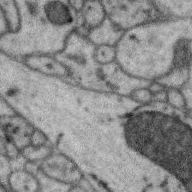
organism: Zebra finch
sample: Brain